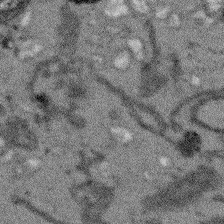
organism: Arabidopsis thaliana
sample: Root tip